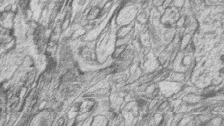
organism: Zebrafish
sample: synaptic ribbons in rod cells and cone cells